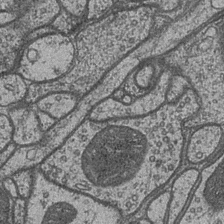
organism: Drosophila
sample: Optic medulla